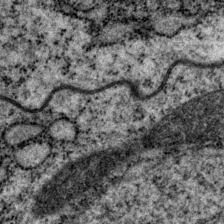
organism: P. pacificus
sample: Pharynx